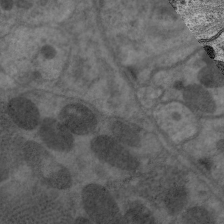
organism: C. elegans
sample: Pharynx